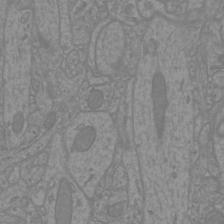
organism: Mouse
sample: Cortical neurons